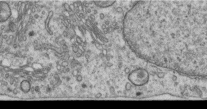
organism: Human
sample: Centriole in RPE cells